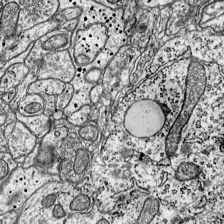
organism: Mouse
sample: Visual Cortex